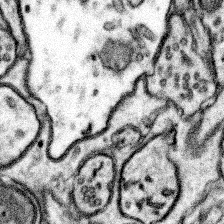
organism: Mouse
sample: Somatosensory cortex neuropil